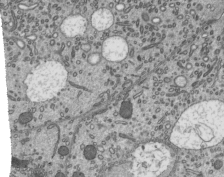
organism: Mouse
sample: Mouse epididymis efferent ductule cilia